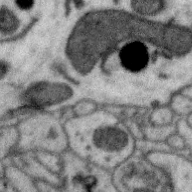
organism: Zebra finch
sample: Brain